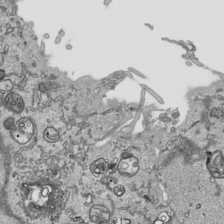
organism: Human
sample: Mitochondria in HCT116 cells